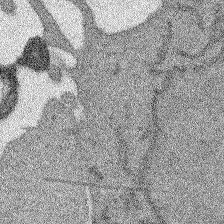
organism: Human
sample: HeLa cells